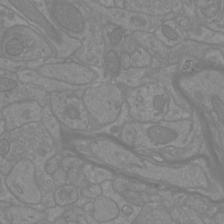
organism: Mouse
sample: Cortical neurons